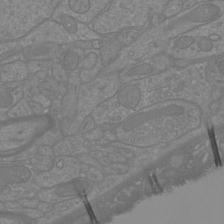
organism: Mouse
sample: Cortical neurons